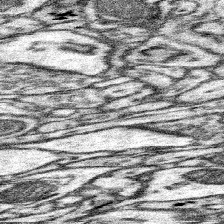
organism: Mouse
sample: Somatosensory cortex neuropil